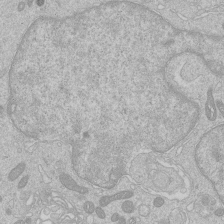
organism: Human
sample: Macrophage cells